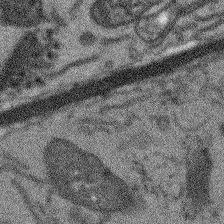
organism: Arabidopsis thaliana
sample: Root tip